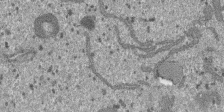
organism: Human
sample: Lung epithelial cells infected with SARS-CoV-2